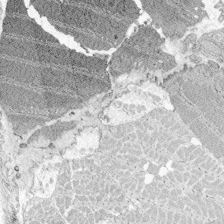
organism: Zebrafish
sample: Whole-Brain